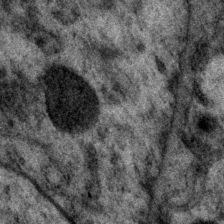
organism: P. pacificus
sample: Pharynx